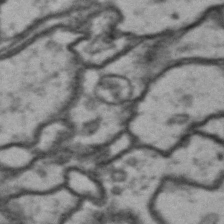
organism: Drosophila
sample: Brain